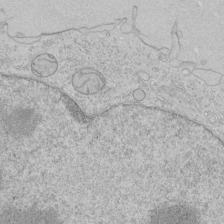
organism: Human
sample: Mitochondria in HCT116 cells